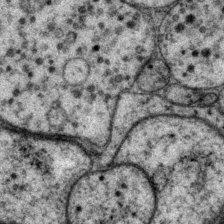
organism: P. pacificus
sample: Pharynx